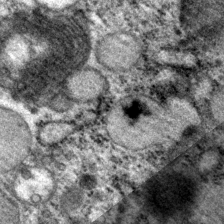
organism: P. pacificus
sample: Pharynx